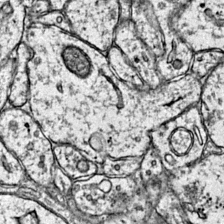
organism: Mouse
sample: Primary visual cortex